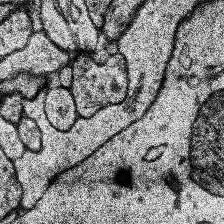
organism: Human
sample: Temporal Lobe